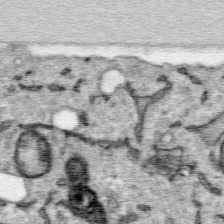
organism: Human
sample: HeLa cells